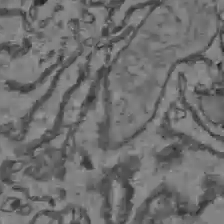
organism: C57BL Mouse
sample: Liver